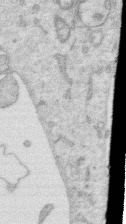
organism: Human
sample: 1205lu cells